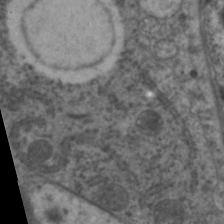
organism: C. elegans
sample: Pharynx